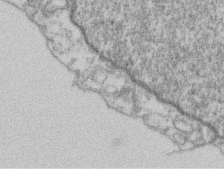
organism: Mouse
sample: T cell stromal cell synapse